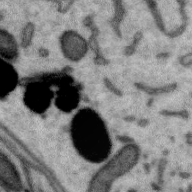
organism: Zebra finch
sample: Brain